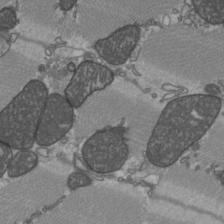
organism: C57BL Mouse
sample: Heart